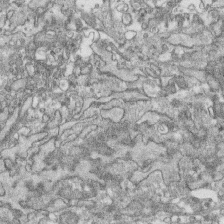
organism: Human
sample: CRL-1474